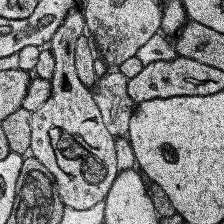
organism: Human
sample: Temporal Lobe